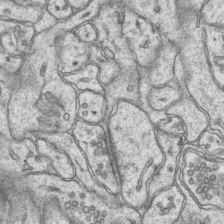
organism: Mouse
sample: CA1 Hippocampus